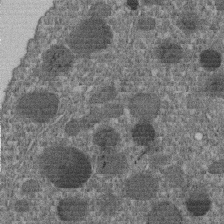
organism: C. elegans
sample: C. elegans embryo early stage